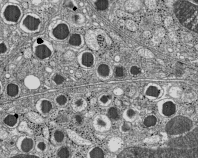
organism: C57BL Mouse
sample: Pancreatic islet